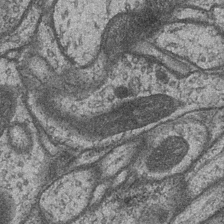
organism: Drosophila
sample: Optic medulla